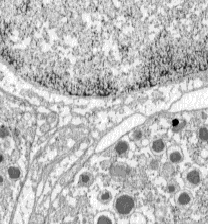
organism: C57BL Mouse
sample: Pancreatic islet